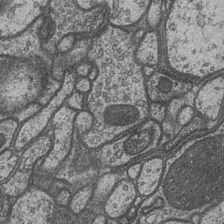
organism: Drosophila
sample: Optic medulla